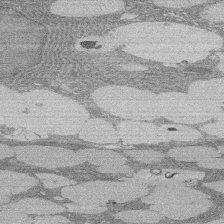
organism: Rat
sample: Salivary granule